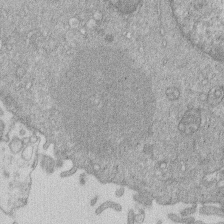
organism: Human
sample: Macrophage cells